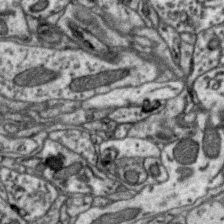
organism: Zebra finch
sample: Brain